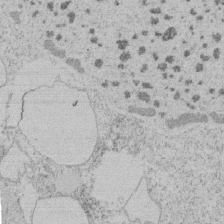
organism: Tetrahymena